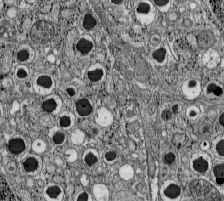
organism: C57BL Mouse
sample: Pancreatic islet